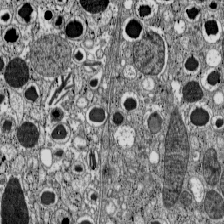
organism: C57BL Mouse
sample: Pancreatic islet